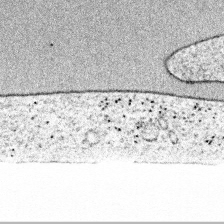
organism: Human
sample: HeLa cells